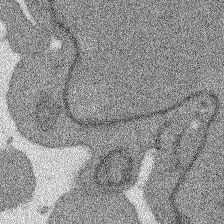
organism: Human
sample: HeLa cells